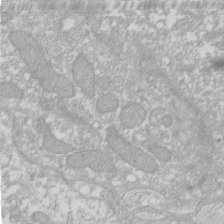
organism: Xenopus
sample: Cilia; centrioles in frog embryo cells